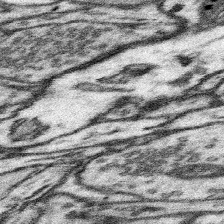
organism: Mouse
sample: Somatosensory cortex neuropil